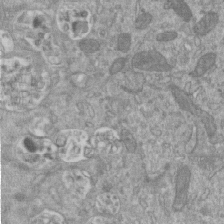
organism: Mouse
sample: ED-1 cell nuclei; centrioles